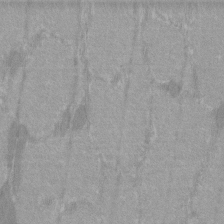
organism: C57BL Mouse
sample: Tibialis anterior muscle cell